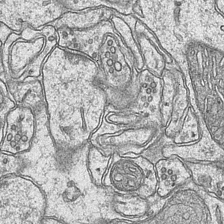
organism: Mouse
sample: CA1 Hippocampus